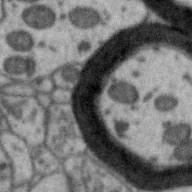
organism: Zebra finch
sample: Brain